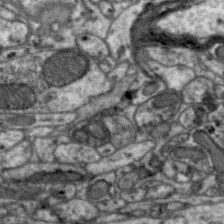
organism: Zebra finch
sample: Brain